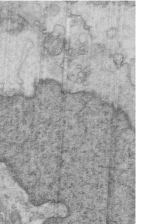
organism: Mouse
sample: Multiciliated cells